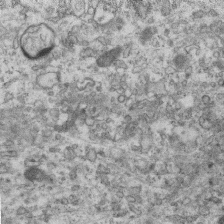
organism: Mouse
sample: Centriole in ependymal cells